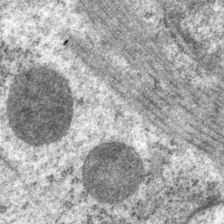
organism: P. pacificus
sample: Pharynx